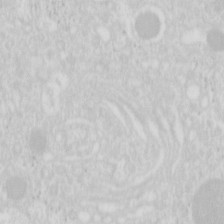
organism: Mouse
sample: Pancreas